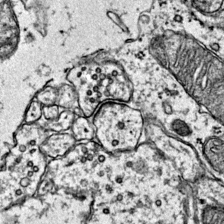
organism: Mouse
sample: Primary visual cortex